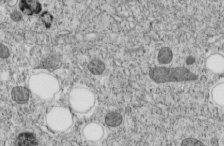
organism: C. elegans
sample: C. elegans embryo early stage